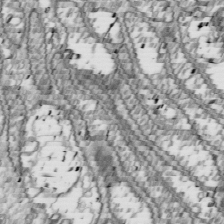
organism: Drosophila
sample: Cell division; meiosis; drosophila spermatocytes